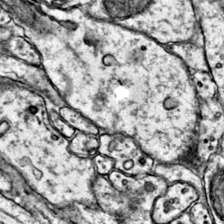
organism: Mouse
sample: Primary visual cortex